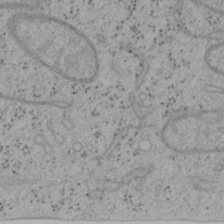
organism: Human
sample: HeLa cells